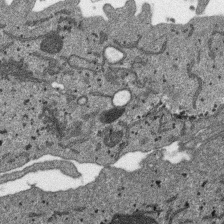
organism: Human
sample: Lung epithelial cells infected with SARS-CoV-2